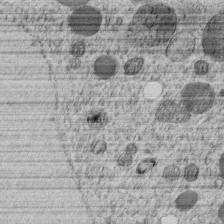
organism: C. elegans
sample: C. elegans embryo early stage